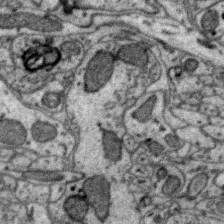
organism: Zebra finch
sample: Brain